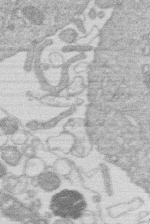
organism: Human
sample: Macrophage cells